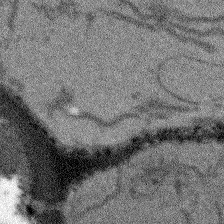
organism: Arabidopsis thaliana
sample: Root tip